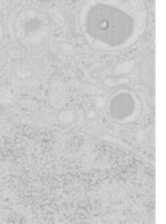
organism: Mouse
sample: Pancreas